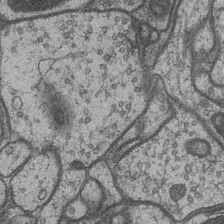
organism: Drosophila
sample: Optic medulla